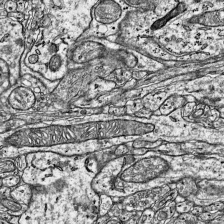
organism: Mouse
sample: Visual Cortex